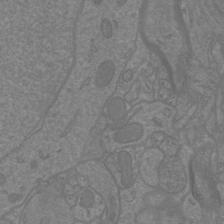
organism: Mouse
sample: Cortical neurons